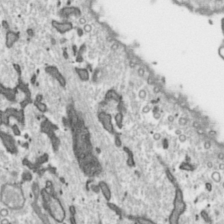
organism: Toxoplasma gondii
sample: Parasites in a vacuole inside a host cell